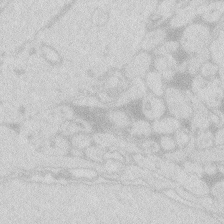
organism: Zebrafish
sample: Macrophage